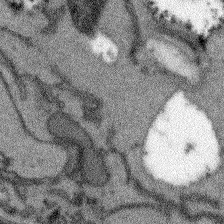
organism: Arabidopsis thaliana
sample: Root tip